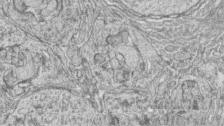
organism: Zebrafish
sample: synaptic ribbons in rod cells and cone cells